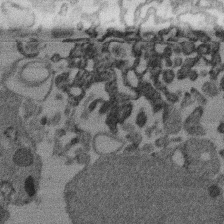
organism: Mouse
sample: Dividing mouse embryo 1 cell stage